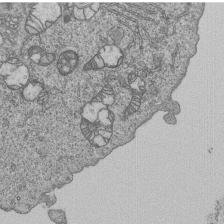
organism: Human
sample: MDA-MB-231 cells